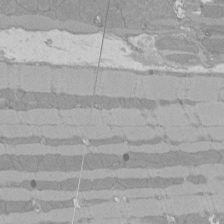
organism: Rat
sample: Left ventricle